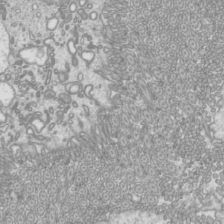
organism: Mouse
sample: Cilia; mouse epididymis